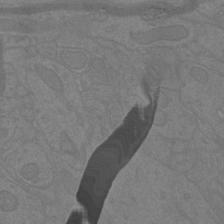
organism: Mouse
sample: Cortical neurons